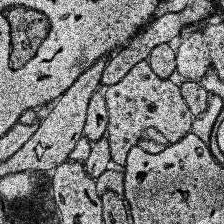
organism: Human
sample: Temporal Lobe